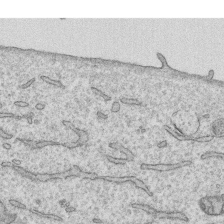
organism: Human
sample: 1205lu cells